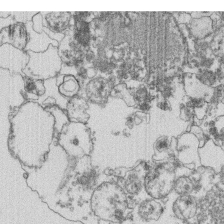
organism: Human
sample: HeLa cell HIV synapse